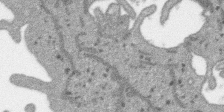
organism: Human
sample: Lung epithelial cells infected with SARS-CoV-2